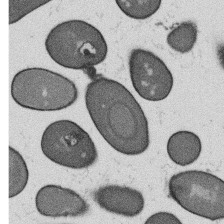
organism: B. subtilis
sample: Bacterial spore